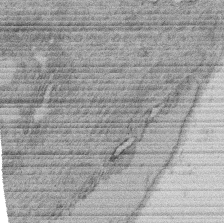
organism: Rat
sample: Salivary granule